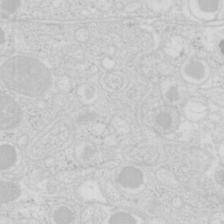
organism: Mouse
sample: Pancreas